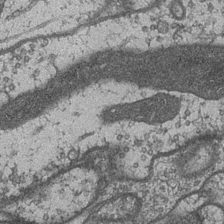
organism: Drosophila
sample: Optic medulla